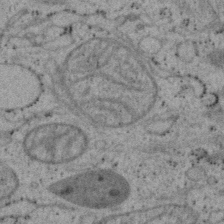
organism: Human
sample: HeLa cells